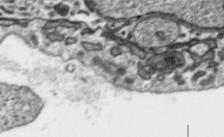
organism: Toxoplasma gondii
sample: Parasites in a vacuole inside a host cell